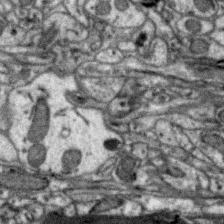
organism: Zebra finch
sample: Brain